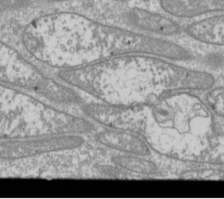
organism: Drosophila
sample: Cell division; meiosis; drosophila spermatocytes